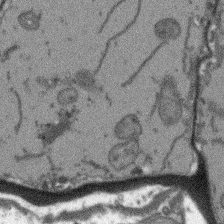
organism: Arabidopsis thaliana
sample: Root tip